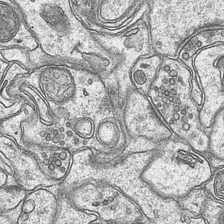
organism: Mouse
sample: CA1 Hippocampus